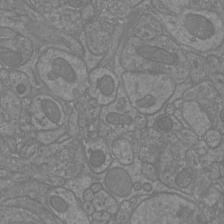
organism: Mouse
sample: Cortical neurons